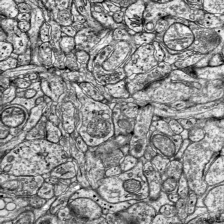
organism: Mouse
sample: Visual Cortex